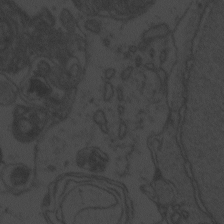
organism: Zebrafish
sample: Macrophage infected with Toxoplasma gondii